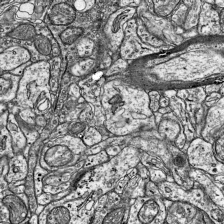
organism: Mouse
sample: Visual Cortex